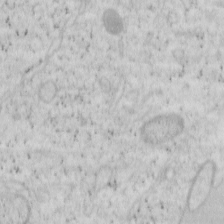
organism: Human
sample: HeLa cells